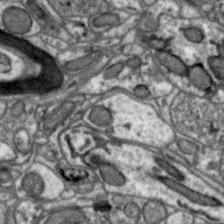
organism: Zebra finch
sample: Brain